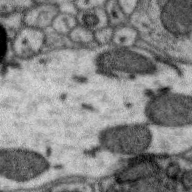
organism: Zebra finch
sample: Brain